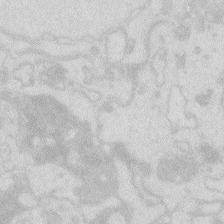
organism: Zebrafish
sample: Macrophage